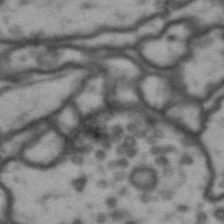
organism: Drosophila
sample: Brain